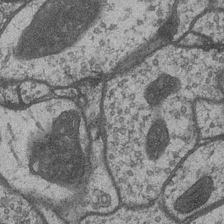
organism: Drosophila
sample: Optic medulla